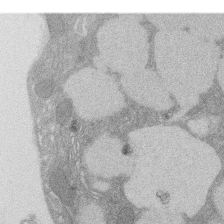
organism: Rat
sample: Salivary granule